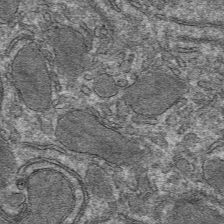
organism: Mouse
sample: Mouse hepatocytes